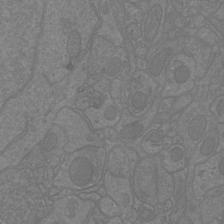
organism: Mouse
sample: Cortical neurons